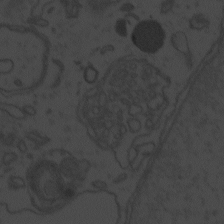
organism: Zebrafish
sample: Macrophage infected with Toxoplasma gondii